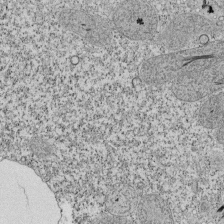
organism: Tetrahymena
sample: Cilia in tetrahymena